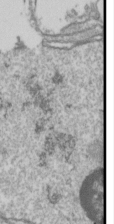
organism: Drosophila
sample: Cell division; meiosis; drosophila spermatocytes